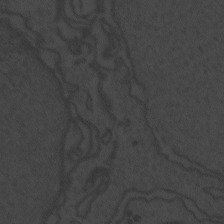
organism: Zebrafish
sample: Macrophage infected with Toxoplasma gondii